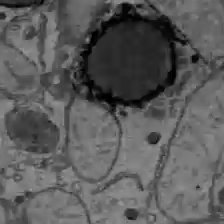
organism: C57BL Mouse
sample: Liver